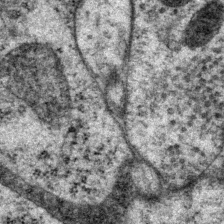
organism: P. pacificus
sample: Pharynx